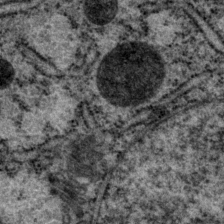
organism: P. pacificus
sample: Pharynx